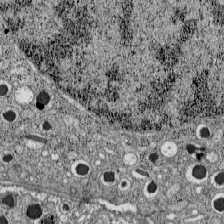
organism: C57BL Mouse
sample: Pancreatic islet